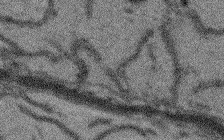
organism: Arabidopsis thaliana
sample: Root tip